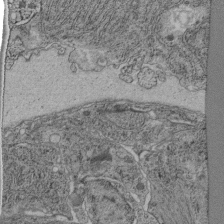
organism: C. elegans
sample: C. elegans pharynx